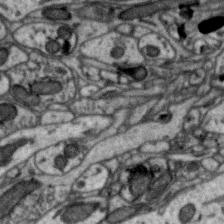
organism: Zebra finch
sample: Brain